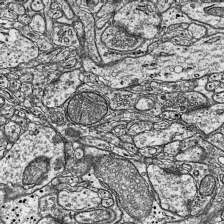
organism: Mouse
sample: Visual Cortex